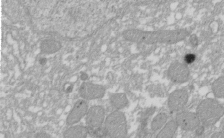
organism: Xenopus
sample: Cilia; centrioles in frog embryo cells